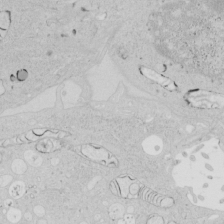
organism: Human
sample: Mitochondria in HCT116 cells